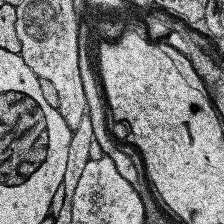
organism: Human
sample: Temporal Lobe